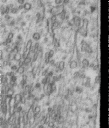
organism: Human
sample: Centriole in RPE cells